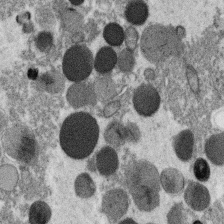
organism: C. elegans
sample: C. elegans oocyte; sperm cells